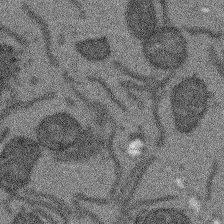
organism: Arabidopsis thaliana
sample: Root tip